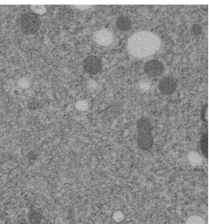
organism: C. elegans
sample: C. elegans embryo early stage